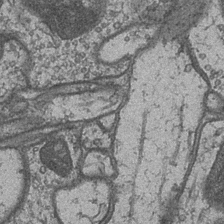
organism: Drosophila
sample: Optic medulla